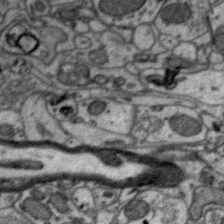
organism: Zebra finch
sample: Brain